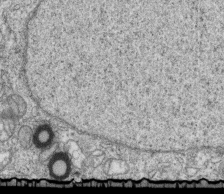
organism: Human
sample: HeLa cell HIV synapse